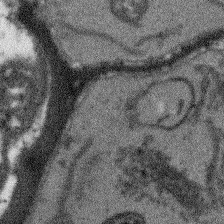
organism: Arabidopsis thaliana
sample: Root tip